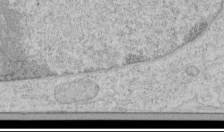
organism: Human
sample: Mitochondria in HCT116 cells